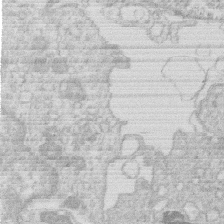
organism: Human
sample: Macrophage cells